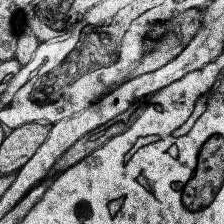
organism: Human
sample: Temporal Lobe